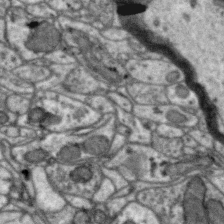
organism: Zebra finch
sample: Brain